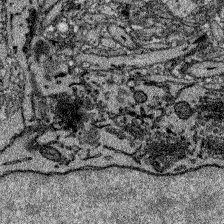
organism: Zebrafish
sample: Larval olfactory bulb